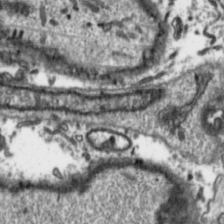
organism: Toxoplasma gondii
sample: Parasites in a vacuole inside a host cell